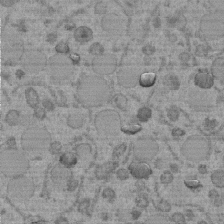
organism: C. elegans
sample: C. elegans embryo early stage